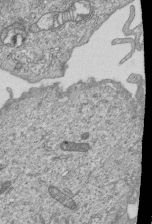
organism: Human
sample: MDA-MB-231 cells